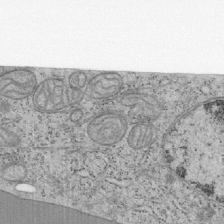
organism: Human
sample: HeLa cells